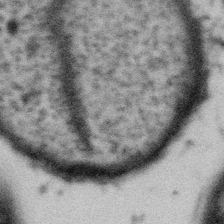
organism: Gemmata obscuriglobus